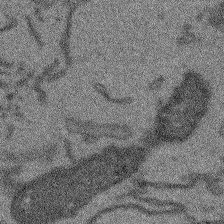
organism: Arabidopsis thaliana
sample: Root tip